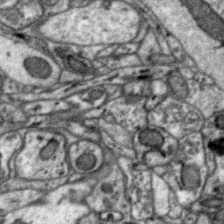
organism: Zebra finch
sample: Brain